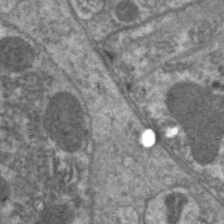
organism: C. elegans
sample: Pharynx